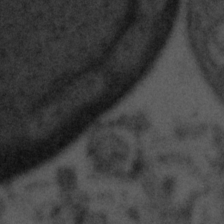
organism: Tuwongella immobilis